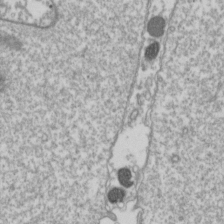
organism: Drosophila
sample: Cell division; meiosis; drosophila spermatocytes